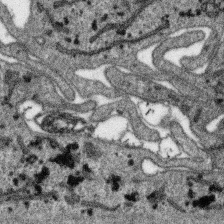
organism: Human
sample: Lung epithelial cells infected with SARS-CoV-2